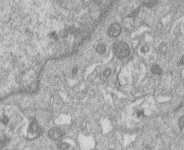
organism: Human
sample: Macrophage cells